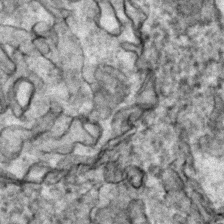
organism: Zebrafish